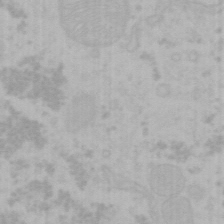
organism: Mouse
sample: Choroid plexus